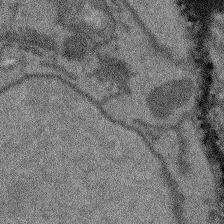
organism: Arabidopsis thaliana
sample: Root tip